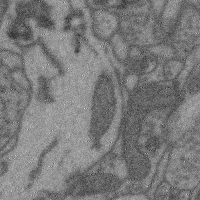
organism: Mouse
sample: Cerebral cortex